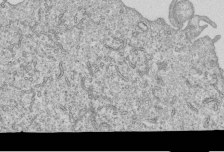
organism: Human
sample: MDA-MB-231 cells